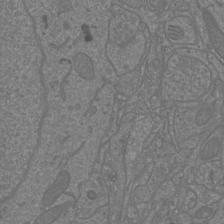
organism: Mouse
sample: Cortical neurons